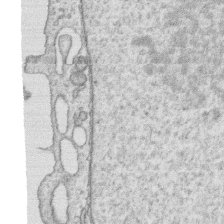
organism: Human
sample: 1205lu cells